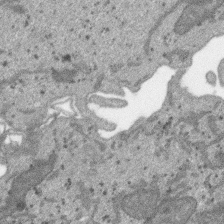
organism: Human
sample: Lung epithelial cells infected with SARS-CoV-2